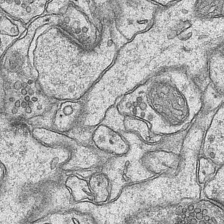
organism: Mouse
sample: CA1 Hippocampus